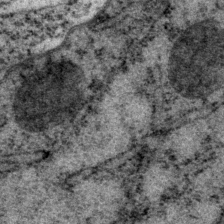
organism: P. pacificus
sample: Pharynx